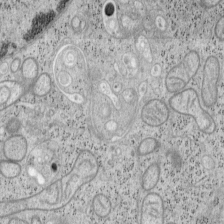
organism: Mouse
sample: OT-I killer T cells with ID8 ovarian cancer cells